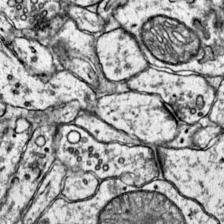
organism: Mouse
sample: Primary visual cortex